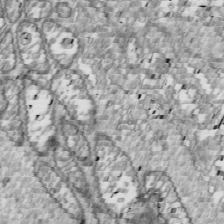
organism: Drosophila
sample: Cell division; meiosis; drosophila spermatocytes